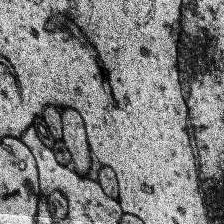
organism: Human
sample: Temporal Lobe